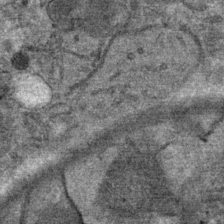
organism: Mouse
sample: Mouse Salivary gland